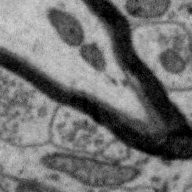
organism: Zebra finch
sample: Brain